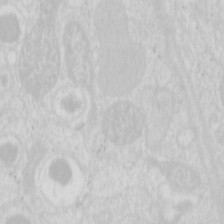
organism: Mouse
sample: Pancreas